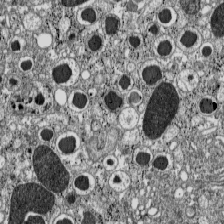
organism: C57BL Mouse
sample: Pancreatic islet